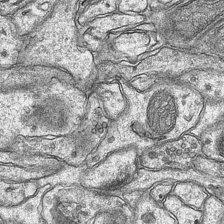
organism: Mouse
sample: CA1 Hippocampus